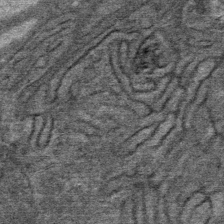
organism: Mouse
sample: Mouse Salivary gland